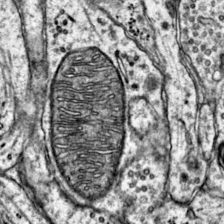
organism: Mouse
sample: Primary visual cortex